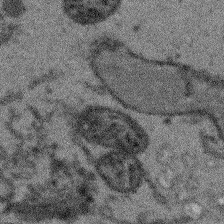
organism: Arabidopsis thaliana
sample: Root tip